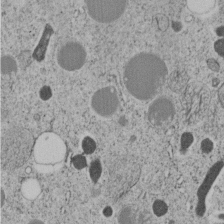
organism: C. elegans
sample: C. elegans embryo early stage